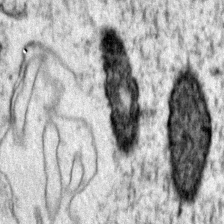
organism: Mouse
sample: Primary visual cortex